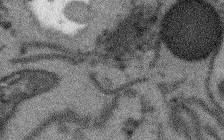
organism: Arabidopsis thaliana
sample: Root tip